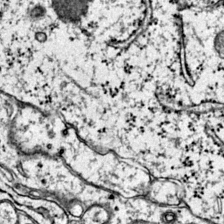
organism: Mouse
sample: Primary visual cortex